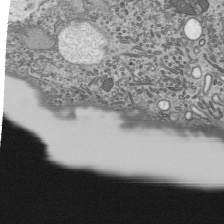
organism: Mouse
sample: Mouse epididymis efferent ductule cilia